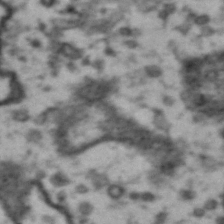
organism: Drosophila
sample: Brain